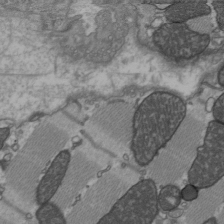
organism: C57BL Mouse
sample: Heart